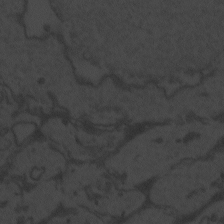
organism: Zebrafish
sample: Macrophage infected with Toxoplasma gondii